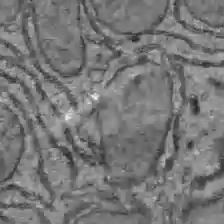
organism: C57BL Mouse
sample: Liver